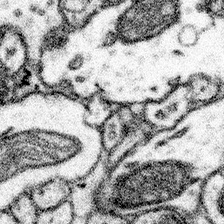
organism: Mouse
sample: Somatosensory cortex neuropil